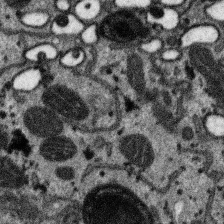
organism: Human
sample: Lung epithelial cells infected with SARS-CoV-2